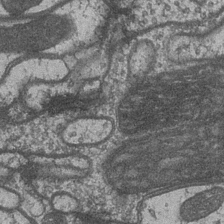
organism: Drosophila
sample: Optic medulla